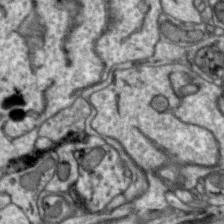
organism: Zebra finch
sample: Brain